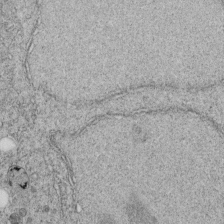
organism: C. elegans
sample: C. elegans embryo early stage